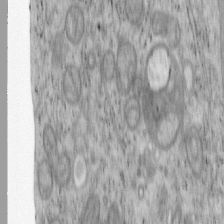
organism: Human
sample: HeLa cells